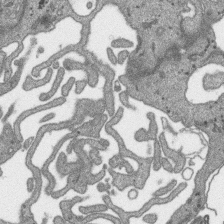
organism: Human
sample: Lung epithelial cells infected with SARS-CoV-2